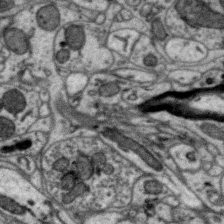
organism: Zebra finch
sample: Brain